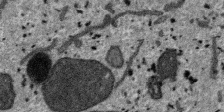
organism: Human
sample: Lung epithelial cells, uninfected (mock) control